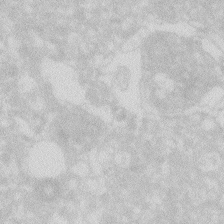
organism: Zebrafish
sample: Macrophage